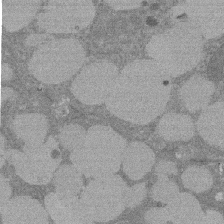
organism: Rat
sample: Salivary granule